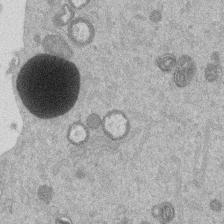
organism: Mouse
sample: Dividing mouse embryo 1 cell stage